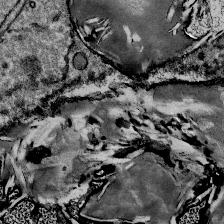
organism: Mouse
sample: Mouse Salivary gland